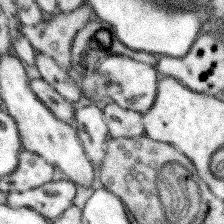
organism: Mouse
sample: Somatosensory cortex neuropil